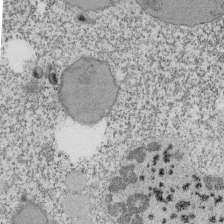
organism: Tetrahymena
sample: Cilia in tetrahymena